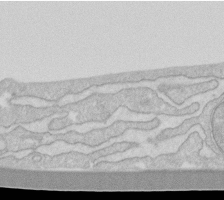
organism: Human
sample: Fibroblast cells